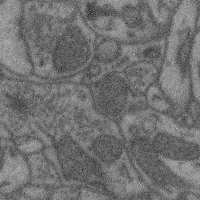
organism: Mouse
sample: Cerebral cortex